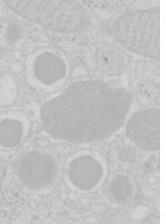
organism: Mouse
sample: Pancreas